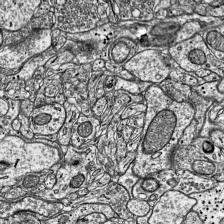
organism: Mouse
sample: Visual Cortex